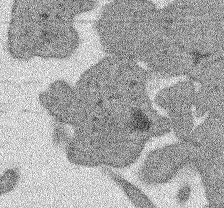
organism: Human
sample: HeLa cells